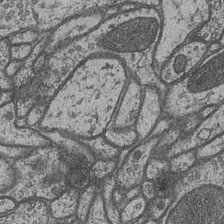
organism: Drosophila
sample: Optic medulla